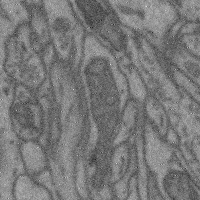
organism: Mouse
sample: Cerebral cortex